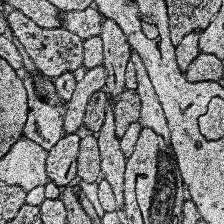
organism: Human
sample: Temporal Lobe